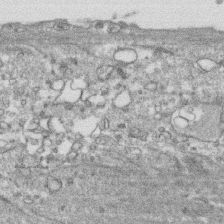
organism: Human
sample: CRL-1474